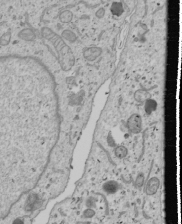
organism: Human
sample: Mitochondria in U2OS cells